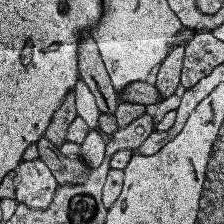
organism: Human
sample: Temporal Lobe